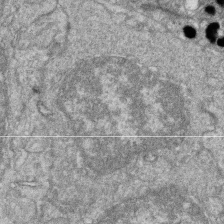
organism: Zebrafish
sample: Cilia; retinal pigment epithelium